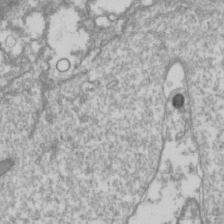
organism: Drosophila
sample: Cell division; meiosis; drosophila spermatocytes